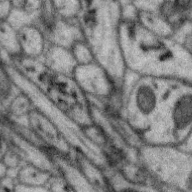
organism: Zebra finch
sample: Brain